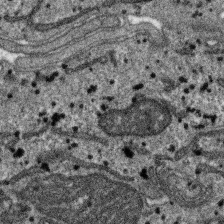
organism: Human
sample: Lung epithelial cells infected with SARS-CoV-2